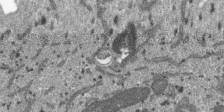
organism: Human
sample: Lung epithelial cells infected with SARS-CoV-2